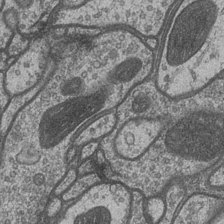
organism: Drosophila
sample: Optic medulla